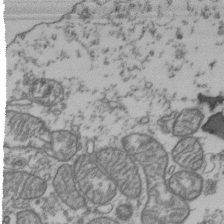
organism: Human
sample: Activated Jurkat CD4+ T cells